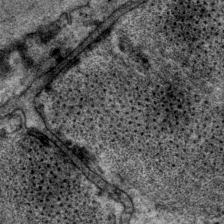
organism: P. pacificus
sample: Pharynx